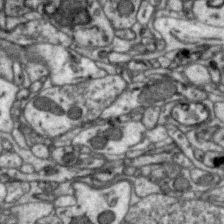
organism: Zebra finch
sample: Brain